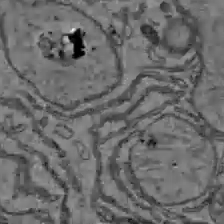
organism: C57BL Mouse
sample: Liver